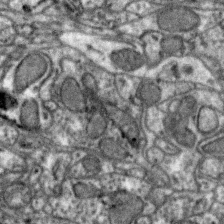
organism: Zebra finch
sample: Brain